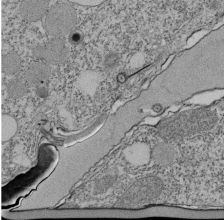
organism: Tetrahymena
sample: Cilia in tetrahymena